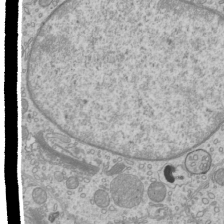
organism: Mouse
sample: Cilia; mouse epididymis